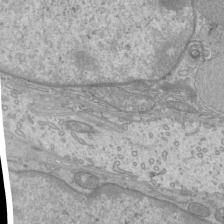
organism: Mouse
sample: Cilia; mouse epididymis